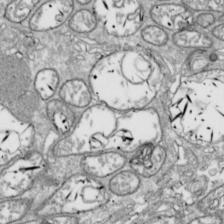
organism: Drosophila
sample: Cell division; meiosis; drosophila spermatocytes